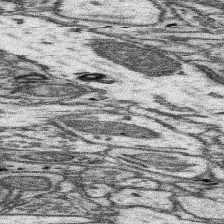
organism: Mouse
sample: Somatosensory cortex neuropil